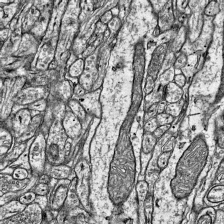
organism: Mouse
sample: Visual Cortex